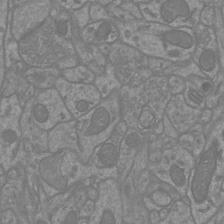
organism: Mouse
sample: Cortical neurons